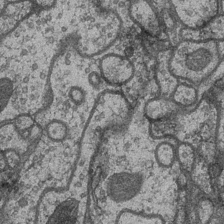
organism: Drosophila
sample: Optic medulla